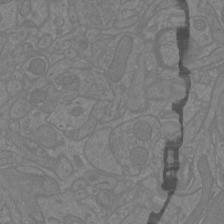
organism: Mouse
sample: Cortical neurons